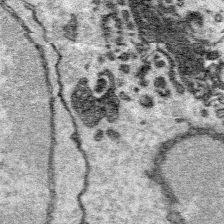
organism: Platynereis dumerilii